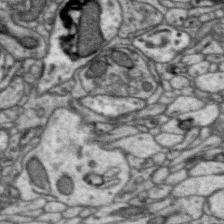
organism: Zebra finch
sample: Brain